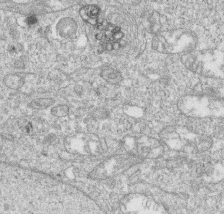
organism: Human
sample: HeLa cell HIV synapse